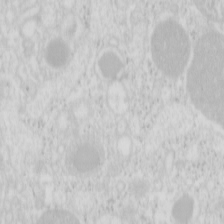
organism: Mouse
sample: Pancreas